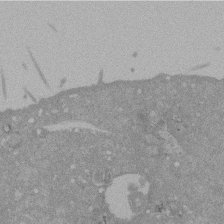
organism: Mouse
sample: ED-1 cell nuclei; centrioles